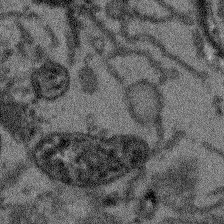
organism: Arabidopsis thaliana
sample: Root tip